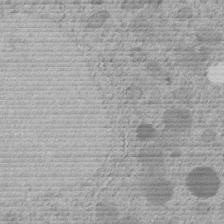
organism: C. elegans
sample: C. elegans embryo early stage